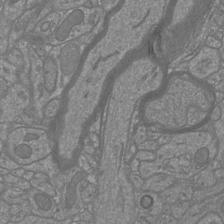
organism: Mouse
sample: Cortical neurons